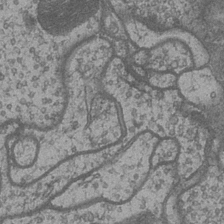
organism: Drosophila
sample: Optic medulla